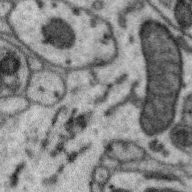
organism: Zebra finch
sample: Brain